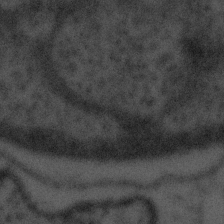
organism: Tuwongella immobilis